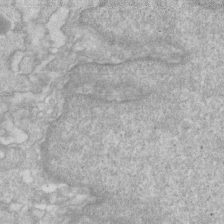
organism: Human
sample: Fibroblast cells